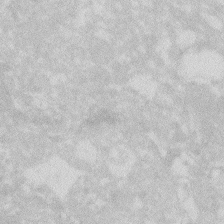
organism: Zebrafish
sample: Macrophage